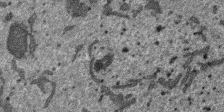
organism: Human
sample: Lung epithelial cells infected with SARS-CoV-2